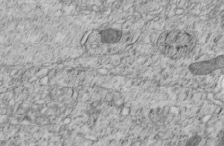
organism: C. elegans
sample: C. elegans embryo early stage